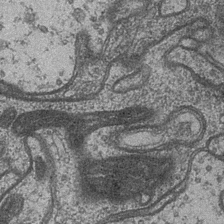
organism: Drosophila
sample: Optic medulla